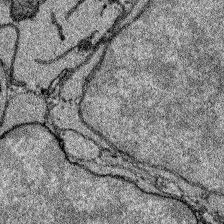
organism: Zebrafish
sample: Larval olfactory bulb